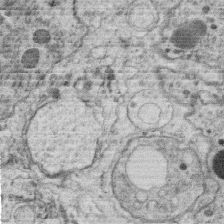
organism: C. elegans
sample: C. elegans oocyte; sperm cells